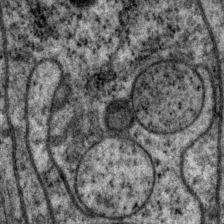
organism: P. pacificus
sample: Pharynx